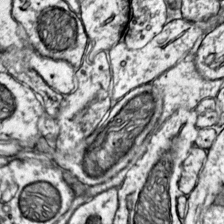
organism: Mouse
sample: Primary visual cortex